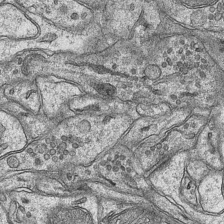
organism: Mouse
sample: CA1 Hippocampus